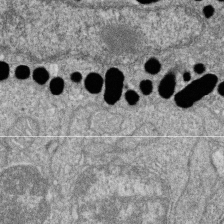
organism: Zebrafish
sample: Cilia; retinal pigment epithelium